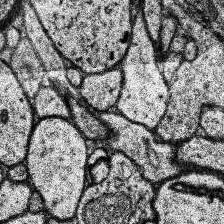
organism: Human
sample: Temporal Lobe